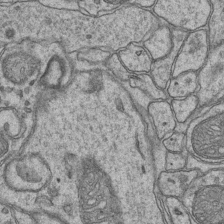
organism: Mouse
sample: CA1 Hippocampus